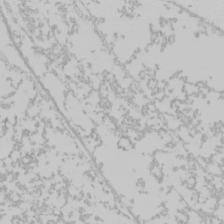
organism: Mouse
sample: Cancer cell death in ED-1 cells